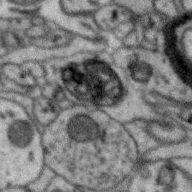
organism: Zebra finch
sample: Brain